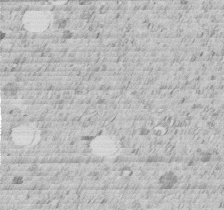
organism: C. elegans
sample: C. elegans embryo early stage